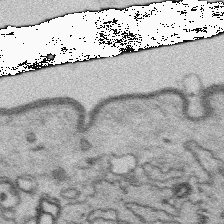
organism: Platynereis dumerilii